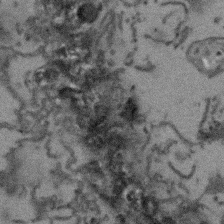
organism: Arabidopsis thaliana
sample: Root tip